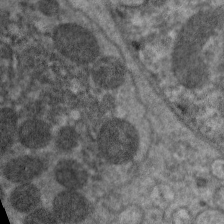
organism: C. elegans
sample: Pharynx